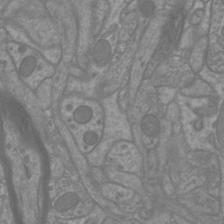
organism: Mouse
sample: Cortical neurons